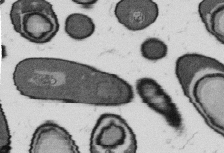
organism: B. subtilis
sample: Bacterial spore